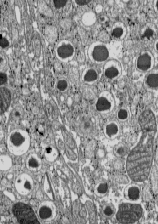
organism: C57BL Mouse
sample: Pancreatic islet